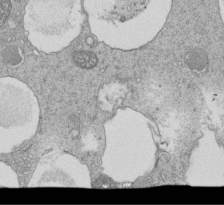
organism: Tetrahymena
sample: Cilia in tetrahymena